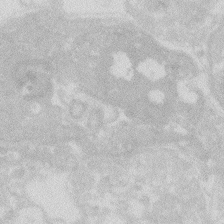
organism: Zebrafish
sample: Macrophage